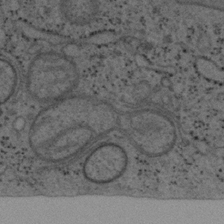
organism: Human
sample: HeLa cells